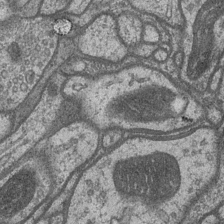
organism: Drosophila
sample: Optic medulla